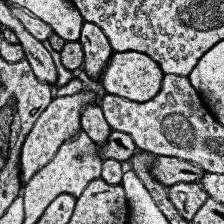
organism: Human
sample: Temporal Lobe